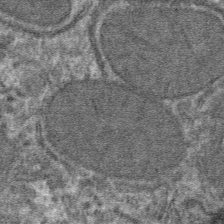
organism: Mouse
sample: Mouse hepatocytes